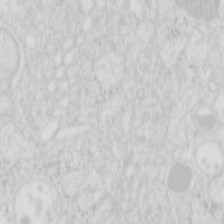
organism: Mouse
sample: Pancreas